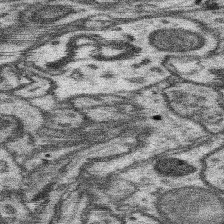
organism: Mouse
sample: Somatosensory cortex neuropil